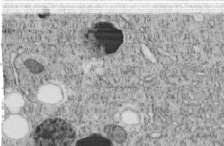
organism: C. elegans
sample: C. elegans embryo early stage